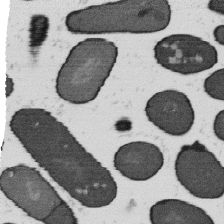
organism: B. subtilis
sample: Bacterial spore